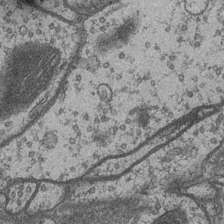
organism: Drosophila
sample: Optic medulla